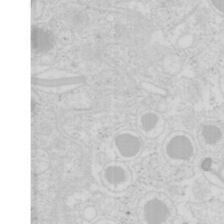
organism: Mouse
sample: Pancreas